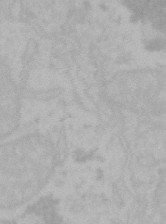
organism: Mouse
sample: Choroid plexus